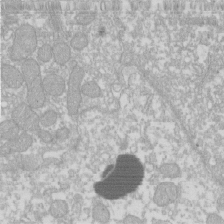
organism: Xenopus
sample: Cilia; centrioles in frog embryo cells